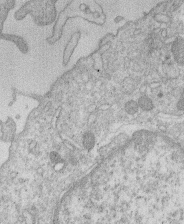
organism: Human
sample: Macrophage cells